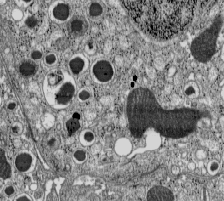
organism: C57BL Mouse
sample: Pancreatic islet